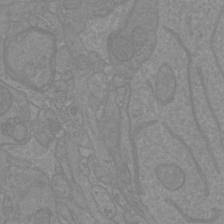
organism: Mouse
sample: Cortical neurons